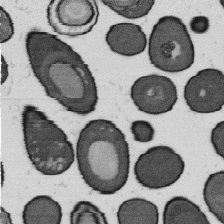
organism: B. subtilis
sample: Bacterial spore